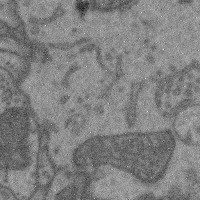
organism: Mouse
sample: Cerebral cortex